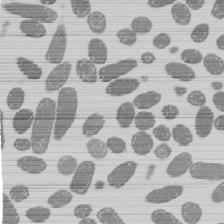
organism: E. coli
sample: Bacterial nucleoid